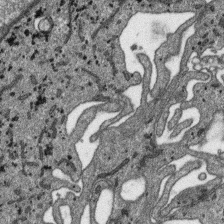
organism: Human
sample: Lung epithelial cells infected with SARS-CoV-2